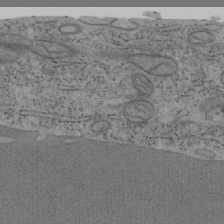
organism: Human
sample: HeLa cells